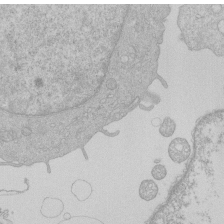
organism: Human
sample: Macrophage cells